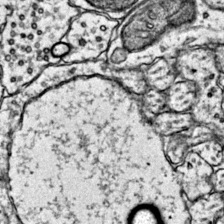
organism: Mouse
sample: Primary visual cortex